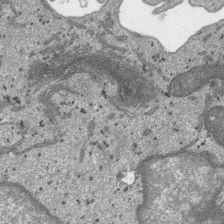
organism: Human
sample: Lung epithelial cells infected with SARS-CoV-2